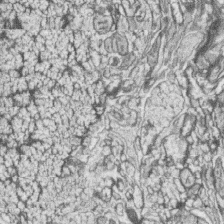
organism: Zebrafish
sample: synaptic ribbons in rod cells and cone cells